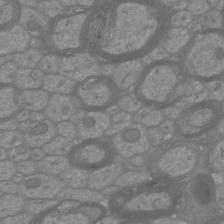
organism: Mouse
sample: Cortical neurons